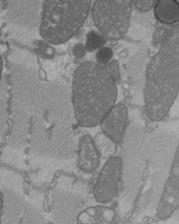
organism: C57BL Mouse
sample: Heart